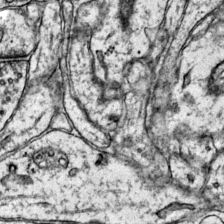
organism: Mouse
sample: Primary visual cortex